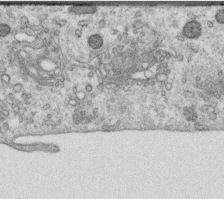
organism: Human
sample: Centriole in RPE cells